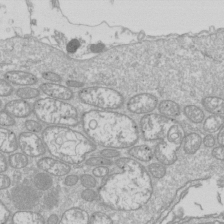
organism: Drosophila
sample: Cell division; meiosis; drosophila spermatocytes